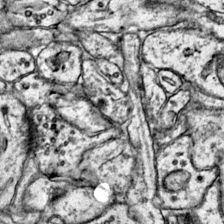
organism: Mouse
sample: Primary visual cortex